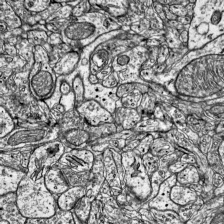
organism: Mouse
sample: Visual Cortex